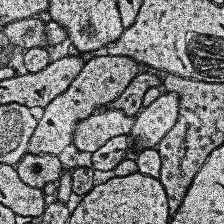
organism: Human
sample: Temporal Lobe